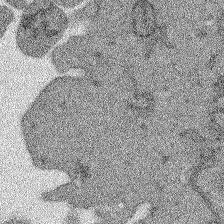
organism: Human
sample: HeLa cells